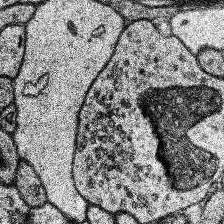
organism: Human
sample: Temporal Lobe